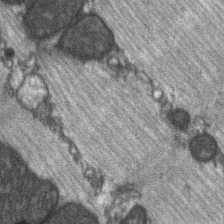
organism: C57BL Mouse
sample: Soleus